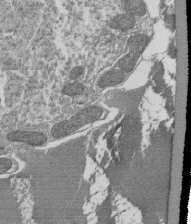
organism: Tetrahymena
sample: Cilia in tetrahymena